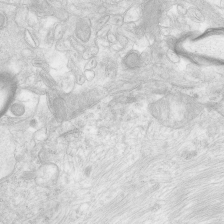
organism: Human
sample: Neocortex